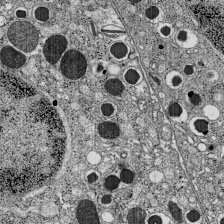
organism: C57BL Mouse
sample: Pancreatic islet